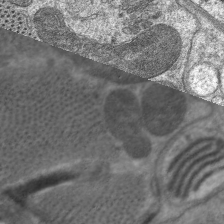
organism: C. elegans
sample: Pharynx